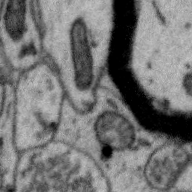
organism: Zebra finch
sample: Brain